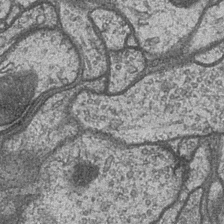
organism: Drosophila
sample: Optic medulla